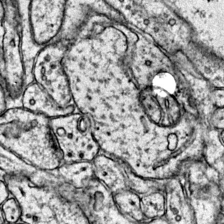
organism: Mouse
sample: Primary visual cortex